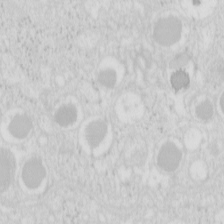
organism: Mouse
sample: Pancreas